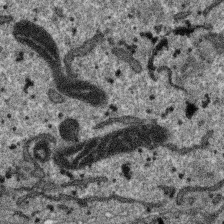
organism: Human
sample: Lung epithelial cells infected with SARS-CoV-2